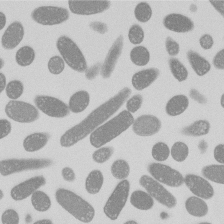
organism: E. coli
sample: Bacterial nucleoid